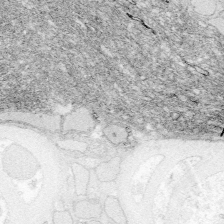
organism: Zebrafish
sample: Whole-Brain